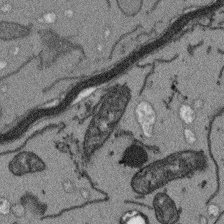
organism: Arabidopsis thaliana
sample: Root tip